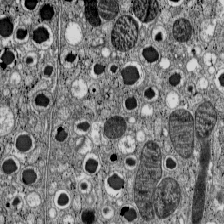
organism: C57BL Mouse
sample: Pancreatic islet